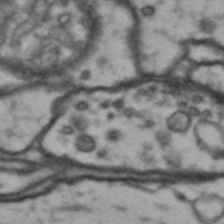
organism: Drosophila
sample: Brain